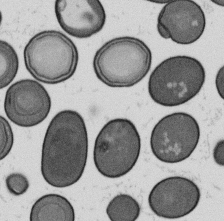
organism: B. subtilis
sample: Bacterial spore